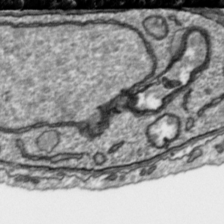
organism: Toxoplasma gondii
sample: Parasites in a vacuole inside a host cell